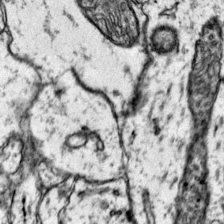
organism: Mouse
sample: Primary visual cortex